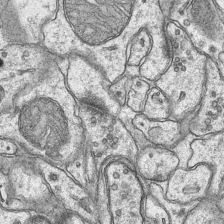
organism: Mouse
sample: CA1 Hippocampus